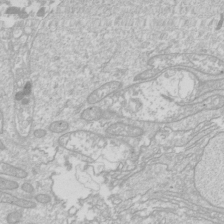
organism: Drosophila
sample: Cell division; meiosis; drosophila spermatocytes